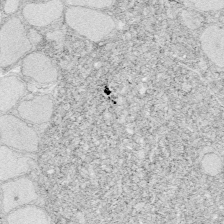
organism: Zebrafish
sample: Whole-Brain